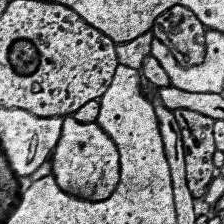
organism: Human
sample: Temporal Lobe